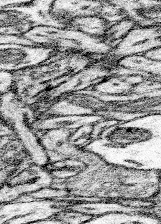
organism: Mouse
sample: Somatosensory cortex neuropil